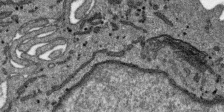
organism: Human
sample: Lung epithelial cells, uninfected (mock) control